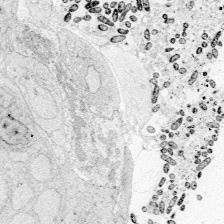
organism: Zebrafish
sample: Whole-Brain